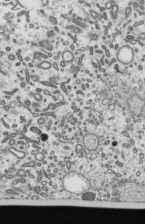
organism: Mouse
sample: Mouse epididymis efferent ductule cilia